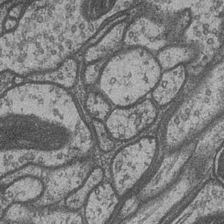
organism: Drosophila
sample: Optic medulla